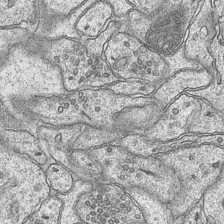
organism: Mouse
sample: CA1 Hippocampus